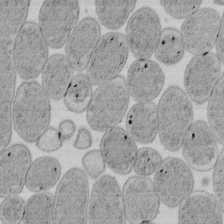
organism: E. coli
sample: Bacterial nucleoid